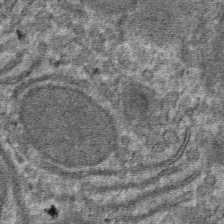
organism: Mouse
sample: Mouse hepatocytes